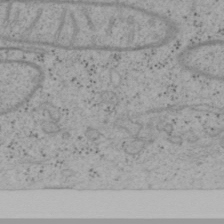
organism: Human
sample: HeLa cells